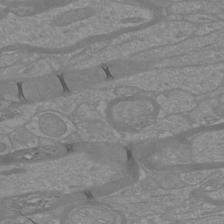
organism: Mouse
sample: Cortical neurons